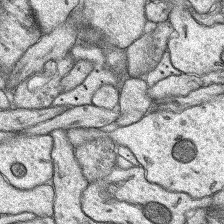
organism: Rat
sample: Hippocampus